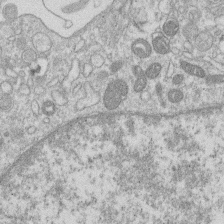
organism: Human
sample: Macrophage cells